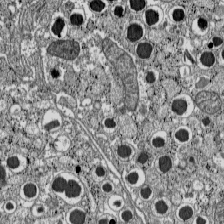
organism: C57BL Mouse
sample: Pancreatic islet